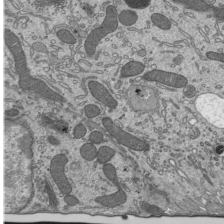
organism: Mouse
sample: Mouse epididymis efferent ductule cilia